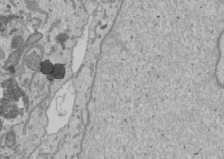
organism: Human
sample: Mitochondria in U2OS cells